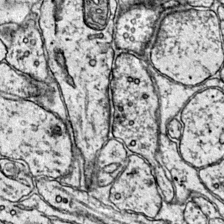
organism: Mouse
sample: Primary visual cortex